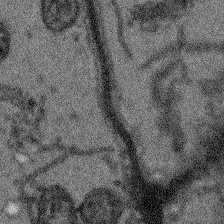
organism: Arabidopsis thaliana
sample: Root tip